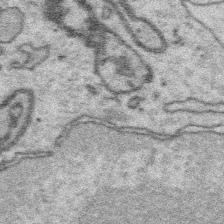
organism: Platynereis dumerilii